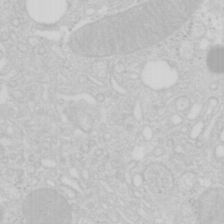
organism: Mouse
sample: Pancreas